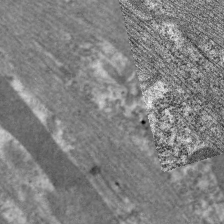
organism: C. elegans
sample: Pharynx